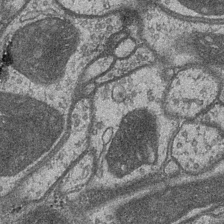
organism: Drosophila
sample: Optic medulla